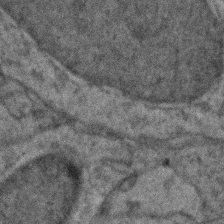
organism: Zebrafish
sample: Zebrafish embryo